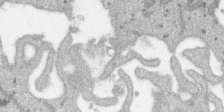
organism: Human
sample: Lung epithelial cells infected with SARS-CoV-2